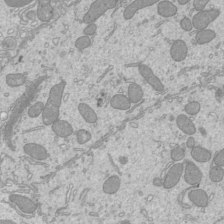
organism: Mouse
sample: Cilia; mouse epididymis